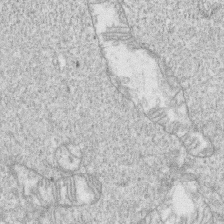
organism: Human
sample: HeLa cell HIV synapse